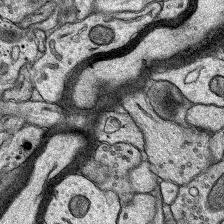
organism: Rat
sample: Hippocampus